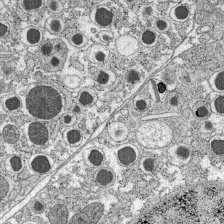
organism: C57BL Mouse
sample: Pancreatic islet